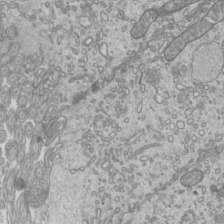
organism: Mouse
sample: Cilia; mouse epididymis